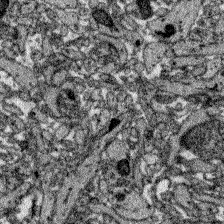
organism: Zebrafish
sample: Larval olfactory bulb